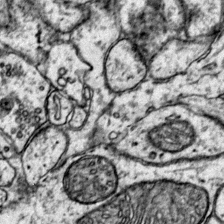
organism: Mouse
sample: Primary visual cortex